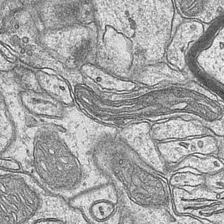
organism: Mouse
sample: CA1 Hippocampus